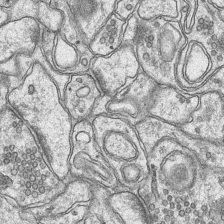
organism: Mouse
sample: CA1 Hippocampus